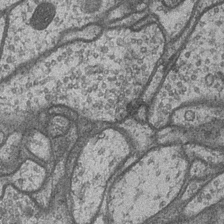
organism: Drosophila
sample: Optic medulla